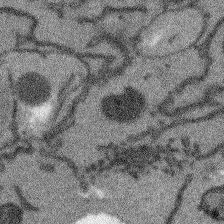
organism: Arabidopsis thaliana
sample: Root tip